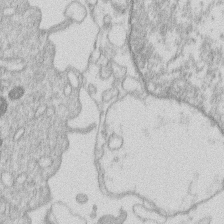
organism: Human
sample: Macrophage cells